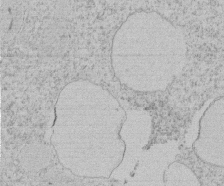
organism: Tetrahymena